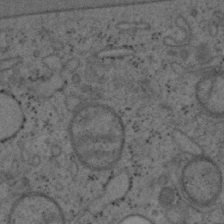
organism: Human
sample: HeLa cells